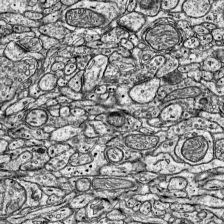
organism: Mouse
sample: Visual Cortex